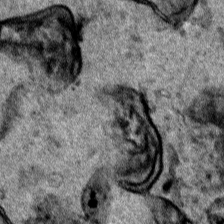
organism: Human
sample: Mitochondria in HCT116 cells